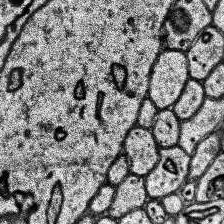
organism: Human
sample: Temporal Lobe